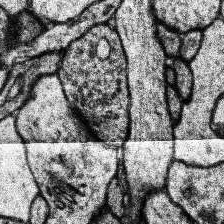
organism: Human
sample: Temporal Lobe